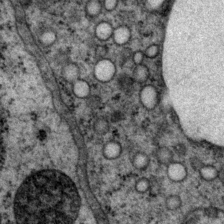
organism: P. pacificus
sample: Pharynx